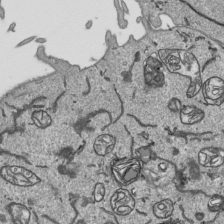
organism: Human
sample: Mitochondria in HCT116 cells